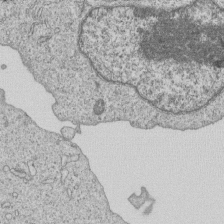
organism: Human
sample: MDA-MB-231 cells